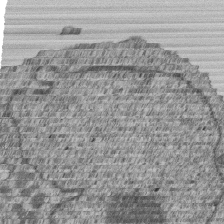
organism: Human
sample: MDA-MB-231 cells